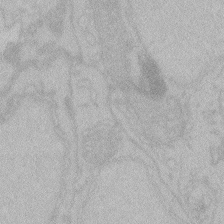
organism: Zebrafish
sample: Macrophage infected with Toxoplasma gondii